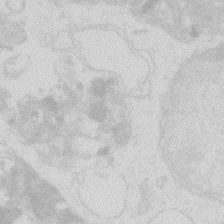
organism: Zebrafish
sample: Macrophage